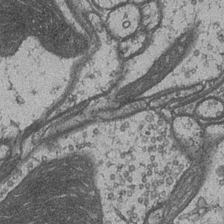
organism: Drosophila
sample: Optic medulla